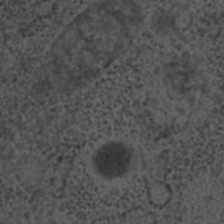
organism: C. elegans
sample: C. elegans embryo